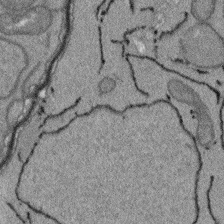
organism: Arabidopsis thaliana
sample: Root tip